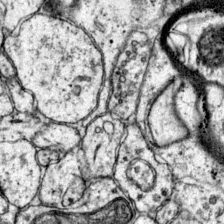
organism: Mouse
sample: Primary visual cortex